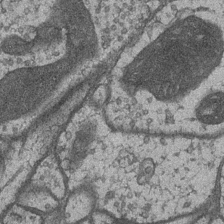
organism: Drosophila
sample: Optic medulla